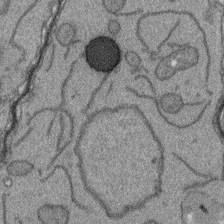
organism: Arabidopsis thaliana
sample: Root tip